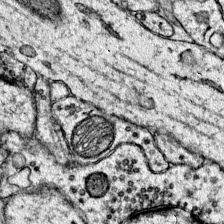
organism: Mouse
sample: Primary visual cortex